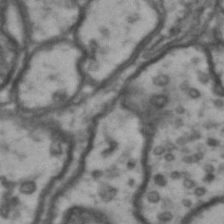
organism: Drosophila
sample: Brain